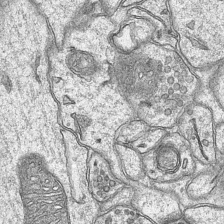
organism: Mouse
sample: CA1 Hippocampus